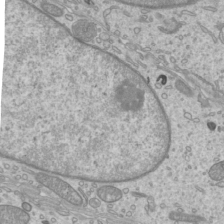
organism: Mouse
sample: Cilia; mouse epididymis